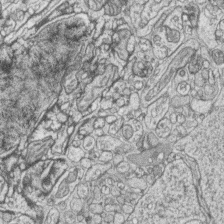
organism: Zebrafish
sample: synaptic ribbons in rod cells and cone cells